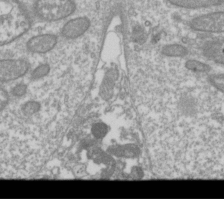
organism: Drosophila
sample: Cell division; meiosis; drosophila spermatocytes